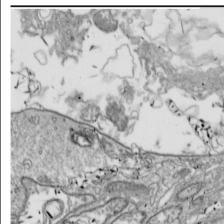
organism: Drosophila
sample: Cell division; meiosis; drosophila spermatocytes